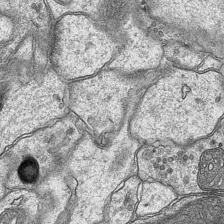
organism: Mouse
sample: CA1 Hippocampus